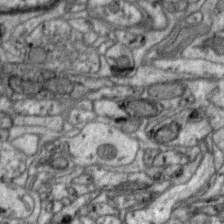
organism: Zebra finch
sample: Brain